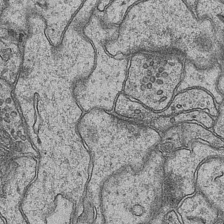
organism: Mouse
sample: CA1 Hippocampus